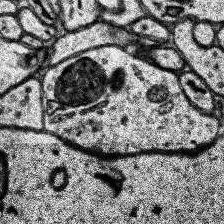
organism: Human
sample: Temporal Lobe